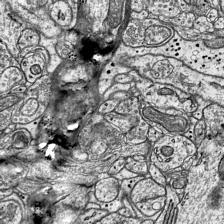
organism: Mouse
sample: Visual Cortex